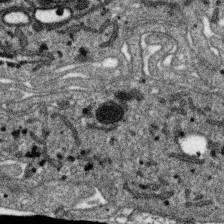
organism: Human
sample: Lung epithelial cells infected with SARS-CoV-2